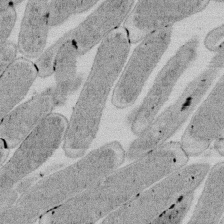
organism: E. coli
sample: Bacterial nucleoid